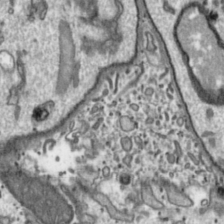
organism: Toxoplasma gondii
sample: Parasites in a vacuole inside a host cell